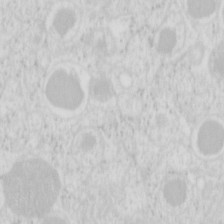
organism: Mouse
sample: Pancreas